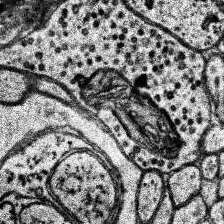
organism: Human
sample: Temporal Lobe